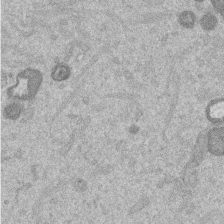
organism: Mouse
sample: Dividing mouse embryo 1 cell stage